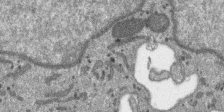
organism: Human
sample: Lung epithelial cells infected with SARS-CoV-2